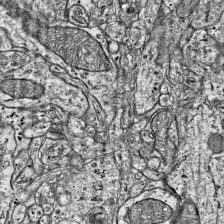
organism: Mouse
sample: Visual Cortex